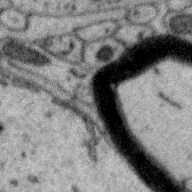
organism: Zebra finch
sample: Brain